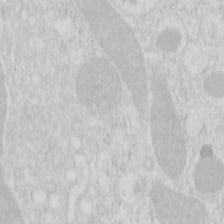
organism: Mouse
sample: Pancreas